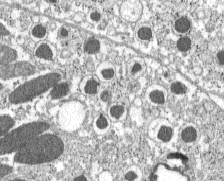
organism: C57BL Mouse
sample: Pancreatic islet